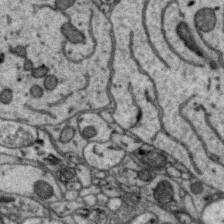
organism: Zebra finch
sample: Brain